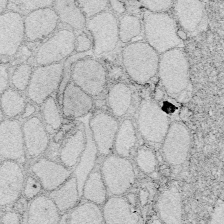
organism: Zebrafish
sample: Whole-Brain